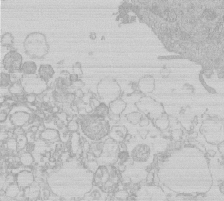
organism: Human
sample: Macrophage cells